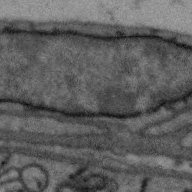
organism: Zebra finch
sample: Brain